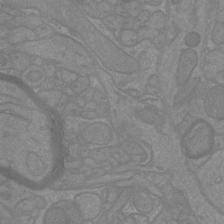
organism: Mouse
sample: Cortical neurons